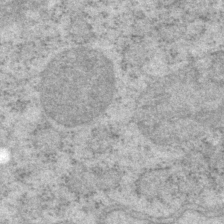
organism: P. pacificus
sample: Pharynx